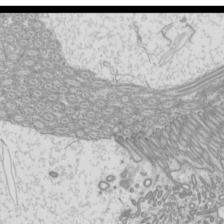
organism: Mouse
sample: Cilia; mouse epididymis